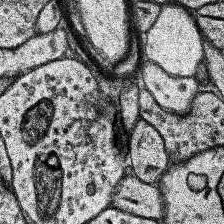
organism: Human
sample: Temporal Lobe